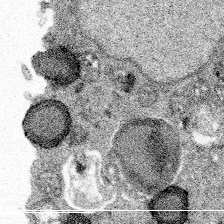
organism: Spongilla lacustris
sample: Multiple